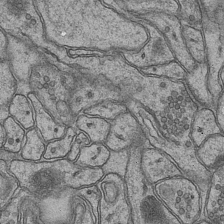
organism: Mouse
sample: CA1 Hippocampus